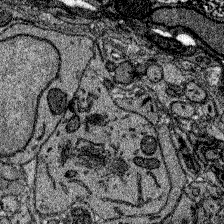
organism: Zebrafish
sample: Larval olfactory bulb